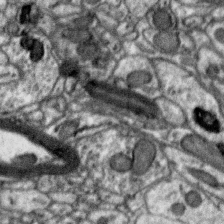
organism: Zebra finch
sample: Brain